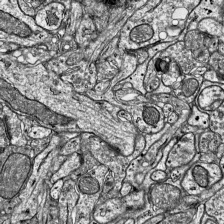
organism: Mouse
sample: Visual Cortex